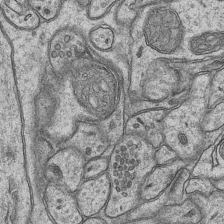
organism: Mouse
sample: CA1 Hippocampus